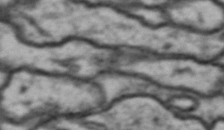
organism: Drosophila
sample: Brain